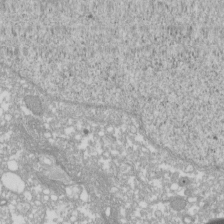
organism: Xenopus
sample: Cilia; centrioles in frog embryo cells